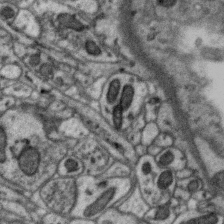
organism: Zebra finch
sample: Brain